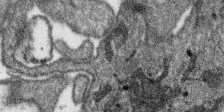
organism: Human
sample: Lung epithelial cells infected with SARS-CoV-2